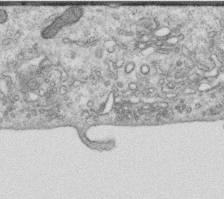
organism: Human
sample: Centriole in RPE cells